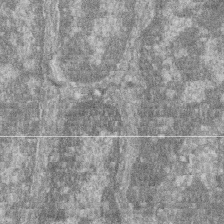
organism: Zebrafish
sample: Cilia; retinal pigment epithelium